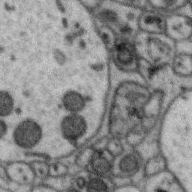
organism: Zebra finch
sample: Brain